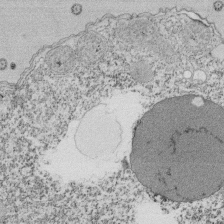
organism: Tetrahymena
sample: Cilia in tetrahymena